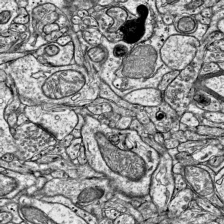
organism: Mouse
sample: Visual Cortex